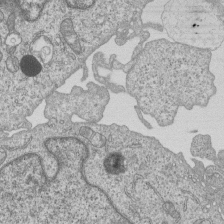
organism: Human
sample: MDA-MB-231 cells